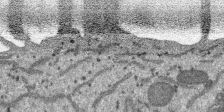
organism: Human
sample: Lung epithelial cells infected with SARS-CoV-2